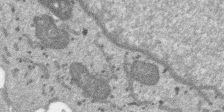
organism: Human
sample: Lung epithelial cells infected with SARS-CoV-2